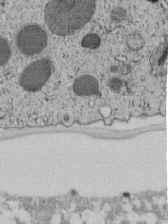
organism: C. elegans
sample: C. elegans embryo early stage